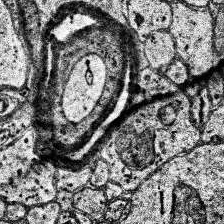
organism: Human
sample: Temporal Lobe